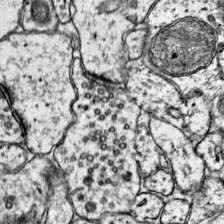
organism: Mouse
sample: Primary visual cortex